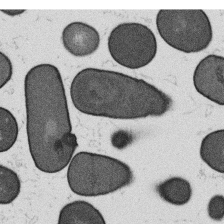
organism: B. subtilis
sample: Bacterial spore